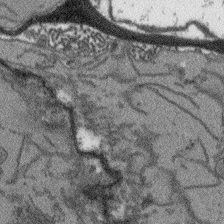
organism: Arabidopsis thaliana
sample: Root tip